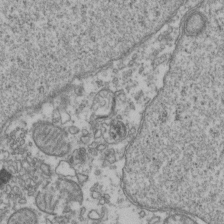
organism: Human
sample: Activated Jurkat CD4+ T cells